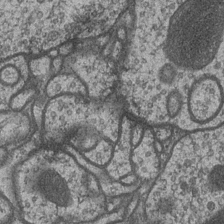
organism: Drosophila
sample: Optic medulla